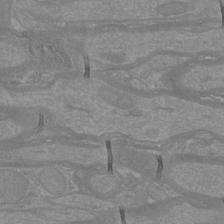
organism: Mouse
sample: Cortical neurons